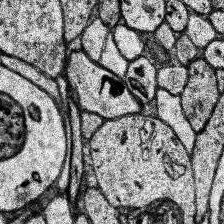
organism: Human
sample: Temporal Lobe